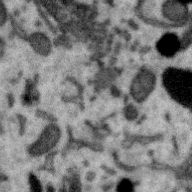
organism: Zebra finch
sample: Brain